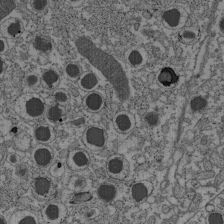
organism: C57BL Mouse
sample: Pancreatic islet